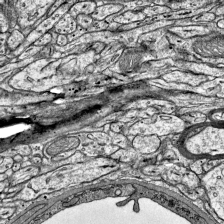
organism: Mouse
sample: Visual Cortex